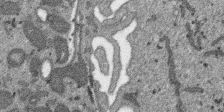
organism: Human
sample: Lung epithelial cells infected with SARS-CoV-2